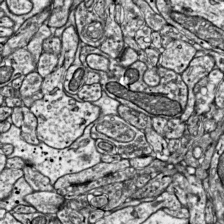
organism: Mouse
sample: Visual Cortex